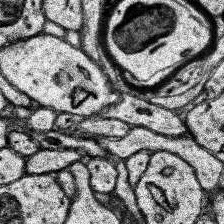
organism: Human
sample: Temporal Lobe